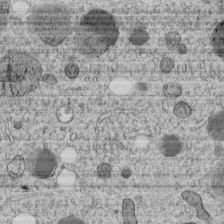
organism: C. elegans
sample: C. elegans embryo early stage